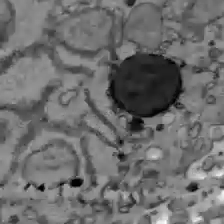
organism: C57BL Mouse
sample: Liver